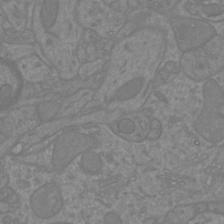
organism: Mouse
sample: Cortical neurons